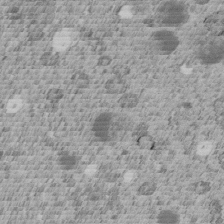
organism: C. elegans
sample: C. elegans embryo early stage